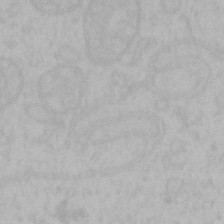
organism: Mouse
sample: Choroid plexus